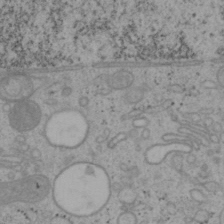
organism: Human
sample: HeLa cells